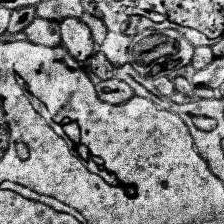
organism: Human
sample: Temporal Lobe